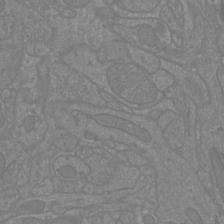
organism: Mouse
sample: Cortical neurons